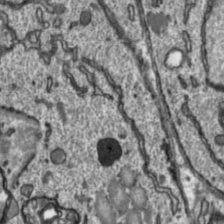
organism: Toxoplasma gondii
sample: Parasites in a vacuole inside a host cell